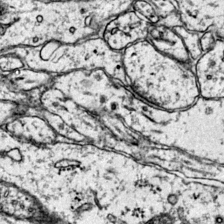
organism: Mouse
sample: Primary visual cortex